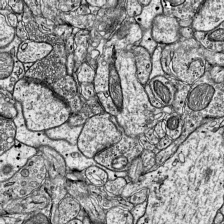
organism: Mouse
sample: Visual Cortex